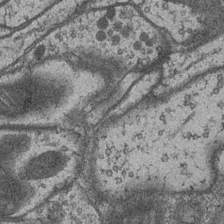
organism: Drosophila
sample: Optic medulla